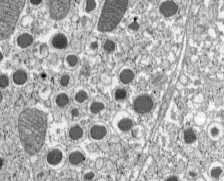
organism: C57BL Mouse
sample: Pancreatic islet